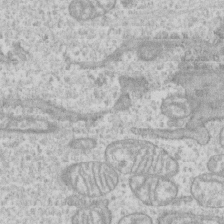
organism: Human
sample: CRL-1474